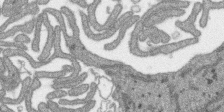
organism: Human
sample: Lung epithelial cells infected with SARS-CoV-2